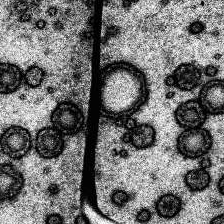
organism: Human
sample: Temporal Lobe